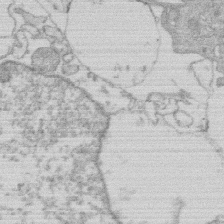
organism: Human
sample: Macrophage cells